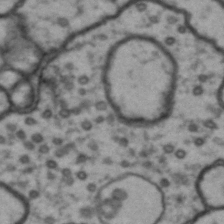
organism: Drosophila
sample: Brain